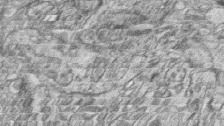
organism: Zebrafish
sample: synaptic ribbons in rod cells and cone cells